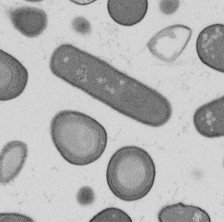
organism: B. subtilis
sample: Bacterial spore